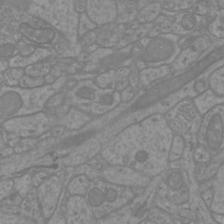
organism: Mouse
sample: Cortical neurons